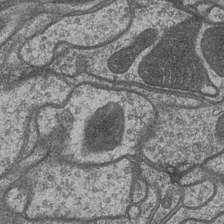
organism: Drosophila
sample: Optic medulla